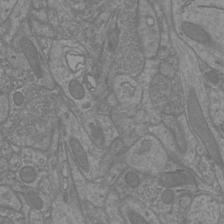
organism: Mouse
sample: Cortical neurons